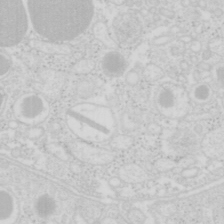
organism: Mouse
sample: Pancreas